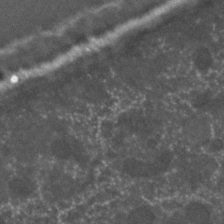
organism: C. elegans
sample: C. elegans embryo